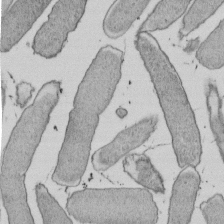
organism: E. coli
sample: Bacterial nucleoid